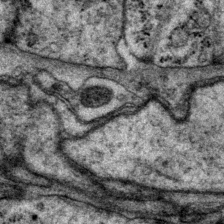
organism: P. pacificus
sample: Pharynx